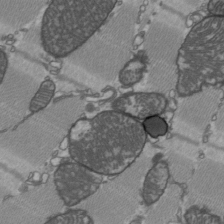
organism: C57BL Mouse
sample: Heart